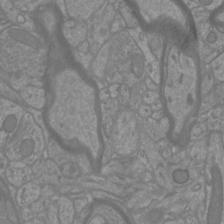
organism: Mouse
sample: Cortical neurons